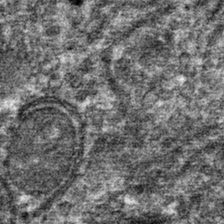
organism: Mouse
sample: Mouse hepatocytes